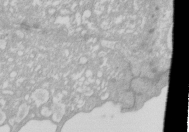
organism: Xenopus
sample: Cilia; centrioles in frog embryo cells